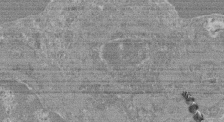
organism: Mouse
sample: Glomerulus